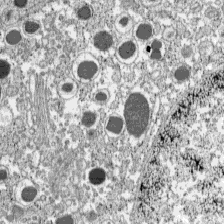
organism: C57BL Mouse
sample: Pancreatic islet